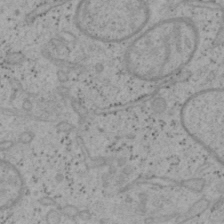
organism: Human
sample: HeLa cells